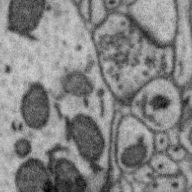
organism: Zebra finch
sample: Brain